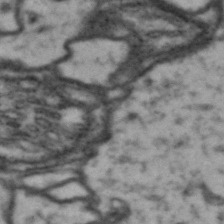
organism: Drosophila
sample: Brain